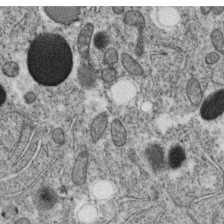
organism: C. elegans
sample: C. elegans oocyte; sperm cells